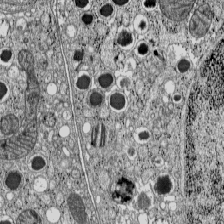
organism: C57BL Mouse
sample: Pancreatic islet